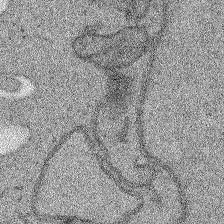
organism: Human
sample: HeLa cells